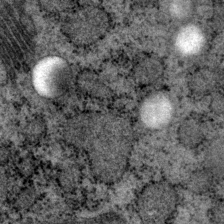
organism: P. pacificus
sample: Pharynx